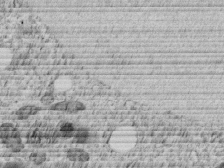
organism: C. elegans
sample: C. elegans embryo early stage